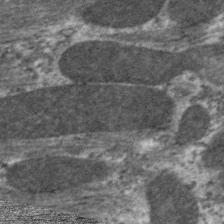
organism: C. elegans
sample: Pharynx